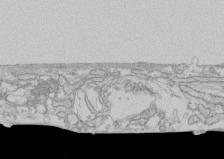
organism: Human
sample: CRL-1474